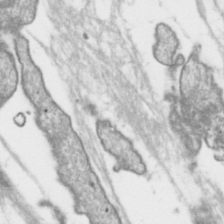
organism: Toxoplasma gondii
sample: Parasites in a vacuole inside a host cell